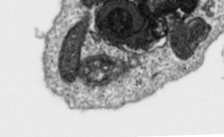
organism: Toxoplasma gondii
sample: Parasites in a vacuole inside a host cell